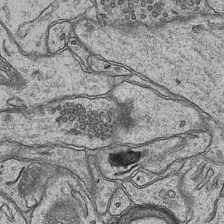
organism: Mouse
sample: CA1 Hippocampus